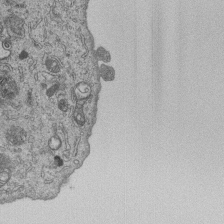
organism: Human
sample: MDA-MB-231 cells